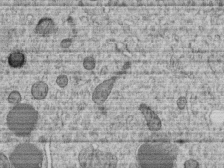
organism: C. elegans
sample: C. elegans embryo early stage